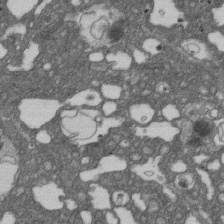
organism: Drosophila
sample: Nephrocyte